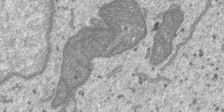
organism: Human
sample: Lung epithelial cells infected with SARS-CoV-2